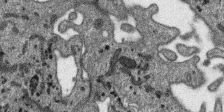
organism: Human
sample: Lung epithelial cells infected with SARS-CoV-2